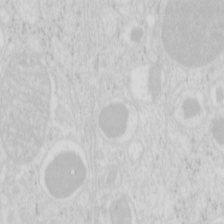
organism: Mouse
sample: Pancreas